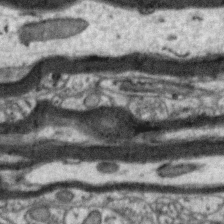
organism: Zebra finch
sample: Brain